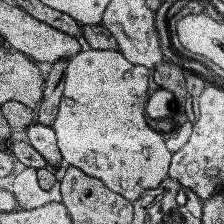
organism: Human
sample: Temporal Lobe